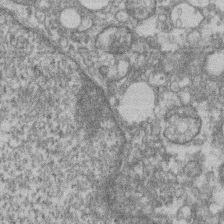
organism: Mouse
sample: T cell stromal cell synapse